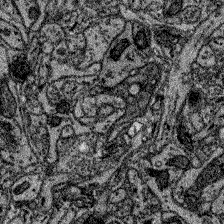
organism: Zebrafish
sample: Larval olfactory bulb